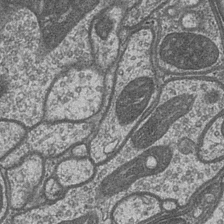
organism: Drosophila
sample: Optic medulla